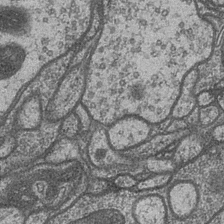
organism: Drosophila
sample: Optic medulla